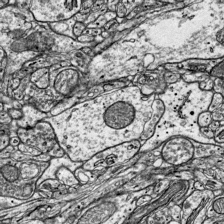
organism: Mouse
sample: Visual Cortex